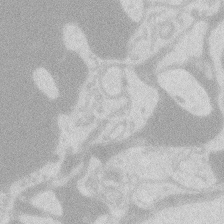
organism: Zebrafish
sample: Macrophage